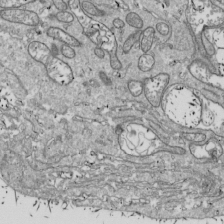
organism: Drosophila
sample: Cell division; meiosis; drosophila spermatocytes